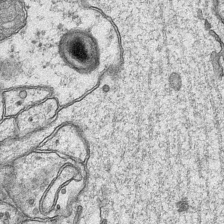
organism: Mouse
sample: CA1 Hippocampus